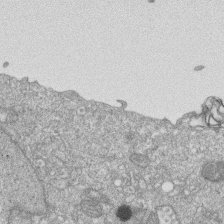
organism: Human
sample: HeLa cell HIV synapse